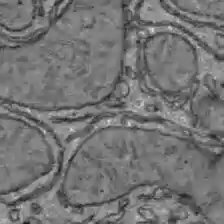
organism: C57BL Mouse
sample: Liver